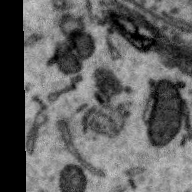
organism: Zebra finch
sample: Brain